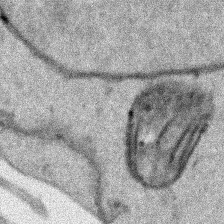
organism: Human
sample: Mitochondria in HCT116 cells